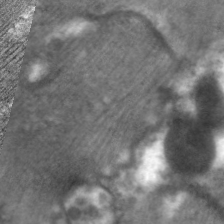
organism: C. elegans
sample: Pharynx